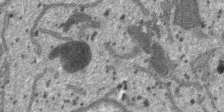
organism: Human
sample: Lung epithelial cells infected with SARS-CoV-2